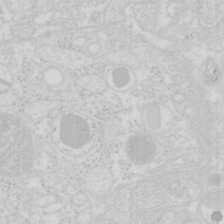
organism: Mouse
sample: Pancreas